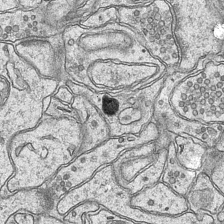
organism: Mouse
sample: CA1 Hippocampus